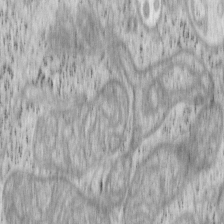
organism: Human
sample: HeLa cells